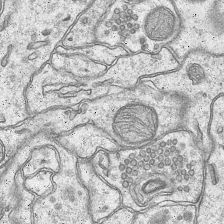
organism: Mouse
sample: CA1 Hippocampus